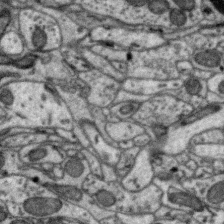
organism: Zebra finch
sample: Brain